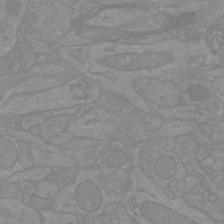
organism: Mouse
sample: Cortical neurons